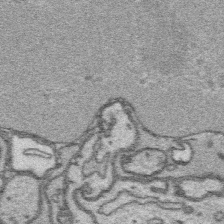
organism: Platynereis dumerilii